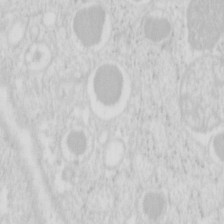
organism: Mouse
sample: Pancreas